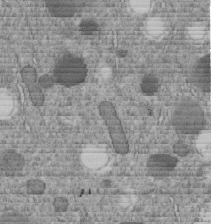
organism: C. elegans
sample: C. elegans embryo early stage